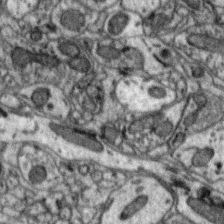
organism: Zebra finch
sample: Brain